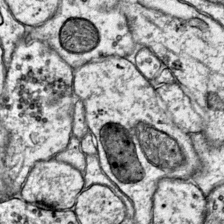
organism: Mouse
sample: Primary visual cortex